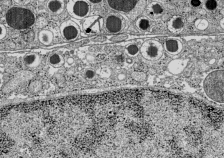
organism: C57BL Mouse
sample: Pancreatic islet